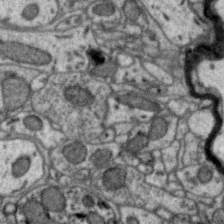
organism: Zebra finch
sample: Brain